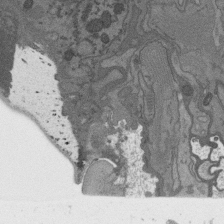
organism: C. elegans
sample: AFD neurons C. elegans